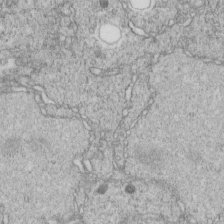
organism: C. elegans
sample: C. elegans embryo early stage